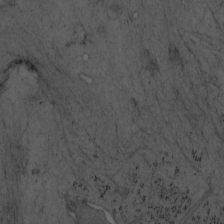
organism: Mouse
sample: OT-I killer T cells with ID8 ovarian cancer cells